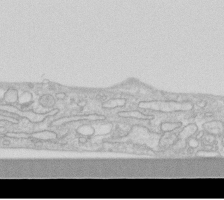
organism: Human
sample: Fibroblast cells